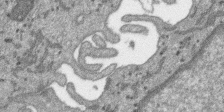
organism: Human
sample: Lung epithelial cells infected with SARS-CoV-2